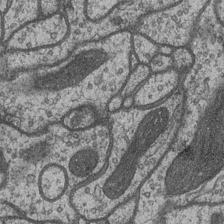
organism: Drosophila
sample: Optic medulla